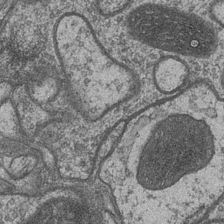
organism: Drosophila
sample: Optic medulla